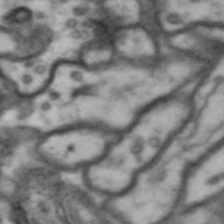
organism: Drosophila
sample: Brain